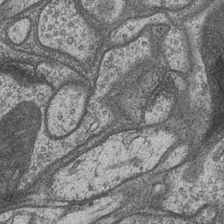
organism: Drosophila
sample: Optic medulla